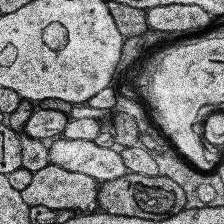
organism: Human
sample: Temporal Lobe